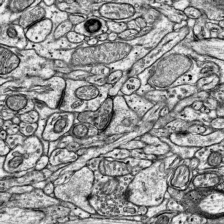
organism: Mouse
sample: Visual Cortex